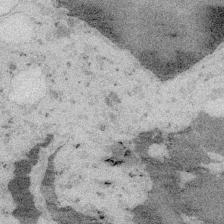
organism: Embia sp.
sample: Silk gland